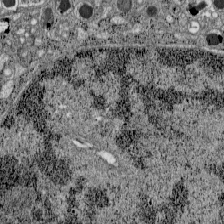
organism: C57BL Mouse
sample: Pancreatic islet